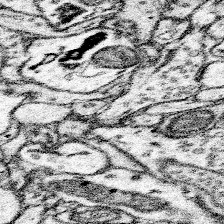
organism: Mouse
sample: Somatosensory cortex neuropil